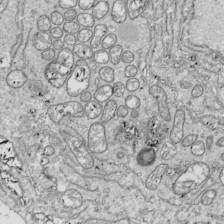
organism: Drosophila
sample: Cell division; meiosis; drosophila spermatocytes